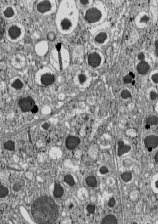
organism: C57BL Mouse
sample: Pancreatic islet